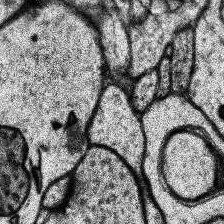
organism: Human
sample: Temporal Lobe